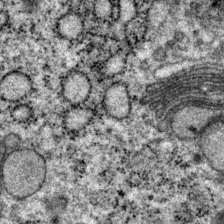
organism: P. pacificus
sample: Pharynx